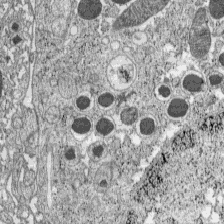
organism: C57BL Mouse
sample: Pancreatic islet